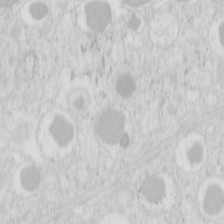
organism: Mouse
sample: Pancreas